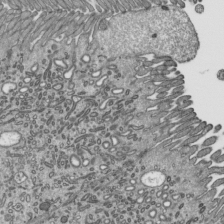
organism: Mouse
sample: Mouse epididymis efferent ductule cilia